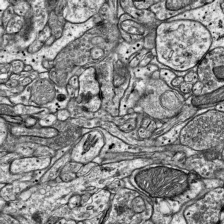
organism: Mouse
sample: Visual Cortex